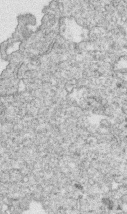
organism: Human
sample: HeLa cell HIV synapse